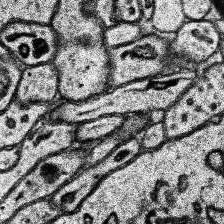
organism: Human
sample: Temporal Lobe